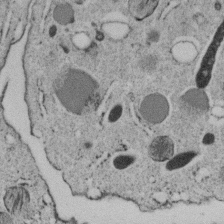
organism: C. elegans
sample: C. elegans embryo early stage